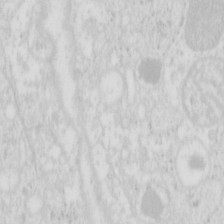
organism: Mouse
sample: Pancreas